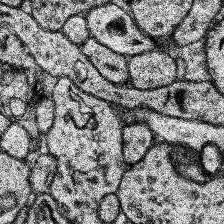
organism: Human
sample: Temporal Lobe